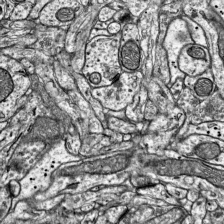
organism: Mouse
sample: Visual Cortex